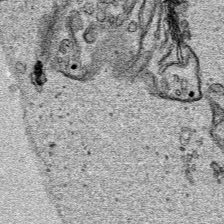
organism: Human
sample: Mitochondria in HCT116 cells